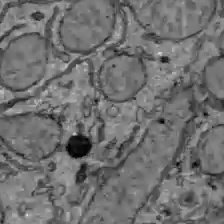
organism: C57BL Mouse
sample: Liver